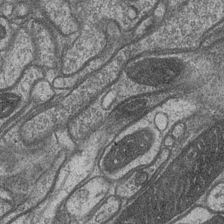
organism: Drosophila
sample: Optic medulla